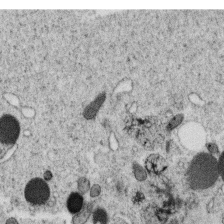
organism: C. elegans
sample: C. elegans oocyte; sperm cells